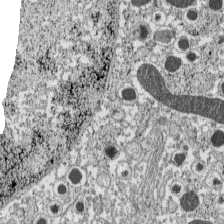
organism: C57BL Mouse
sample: Pancreatic islet